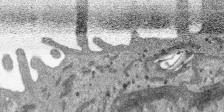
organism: Human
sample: Lung epithelial cells infected with SARS-CoV-2